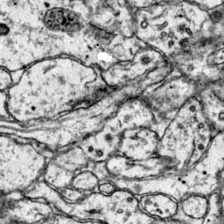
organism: Mouse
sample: Primary visual cortex